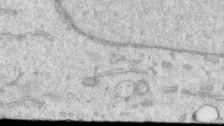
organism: Human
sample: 1205lu cells